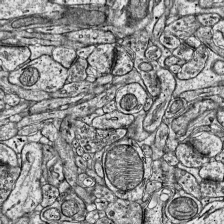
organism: Mouse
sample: Visual Cortex